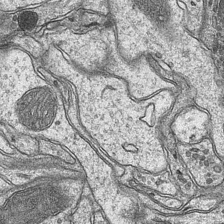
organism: Mouse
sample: CA1 Hippocampus